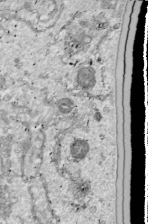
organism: Drosophila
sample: Cell division; meiosis; drosophila spermatocytes